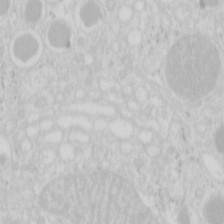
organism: Mouse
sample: Pancreas